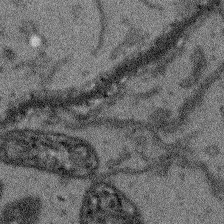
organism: Arabidopsis thaliana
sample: Root tip